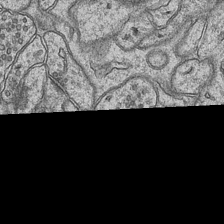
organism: Mouse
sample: CA1 Hippocampus